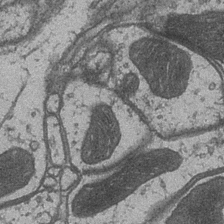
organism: Drosophila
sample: Optic medulla